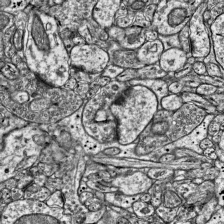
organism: Mouse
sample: Visual Cortex